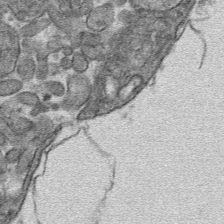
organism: Mouse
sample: Mouse hepatocytes